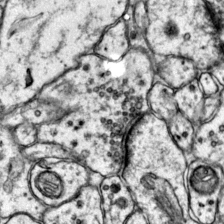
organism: Mouse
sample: Primary visual cortex